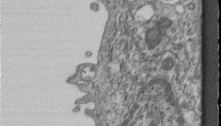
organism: Mouse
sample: Centriole in ependymal cells